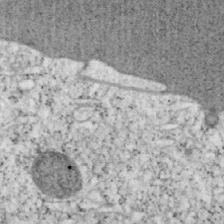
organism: Mouse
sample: OT-I killer T cells with ID8 ovarian cancer cells